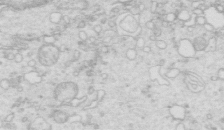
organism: Mouse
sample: Multiciliated cells